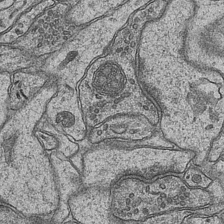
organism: Mouse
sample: CA1 Hippocampus